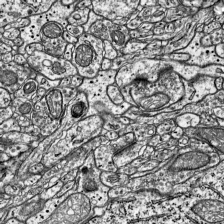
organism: Mouse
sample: Visual Cortex